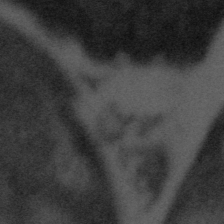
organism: Tuwongella immobilis